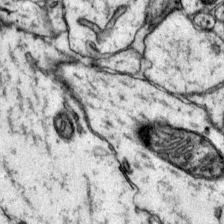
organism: Mouse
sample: Primary visual cortex